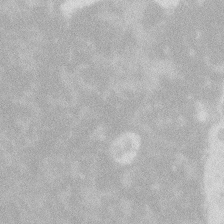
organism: Zebrafish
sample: Macrophage